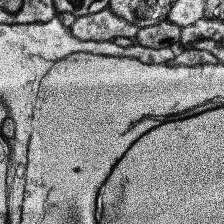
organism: Human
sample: Temporal Lobe